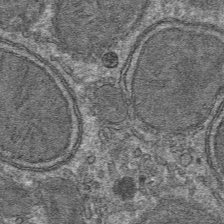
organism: Mouse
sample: Mouse hepatocytes